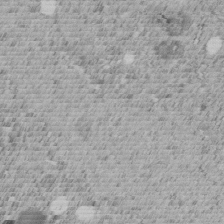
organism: C. elegans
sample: C. elegans embryo early stage